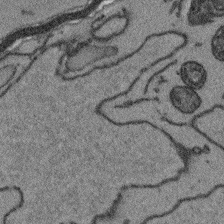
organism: Arabidopsis thaliana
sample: Root tip